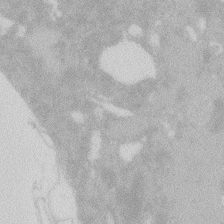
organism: Zebrafish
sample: Macrophage